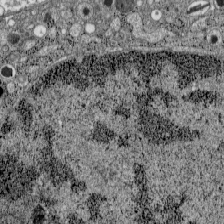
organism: C57BL Mouse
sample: Pancreatic islet